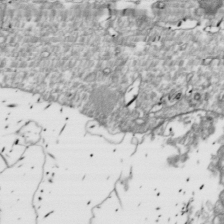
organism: Drosophila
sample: Cell division; meiosis; drosophila spermatocytes